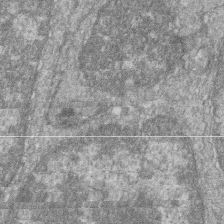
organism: Zebrafish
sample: Cilia; retinal pigment epithelium